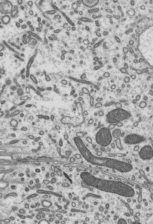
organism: Mouse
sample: Mouse epididymis efferent ductule cilia